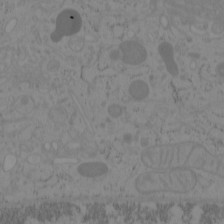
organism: Human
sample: HeLa cells